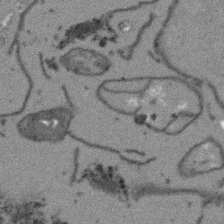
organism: Arabidopsis thaliana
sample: Root tip